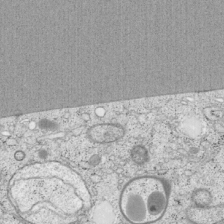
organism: African green monkey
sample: COS-7 cells